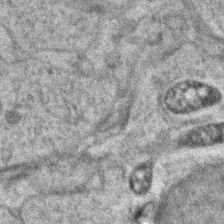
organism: Zebrafish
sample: Zebrafish embryo